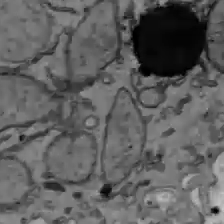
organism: C57BL Mouse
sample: Liver